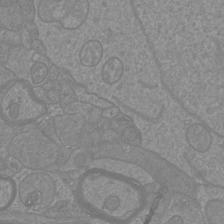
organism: Mouse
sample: Cortical neurons